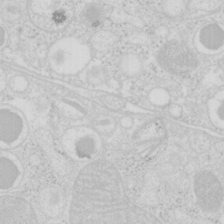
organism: Mouse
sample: Pancreas